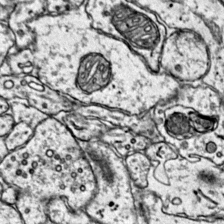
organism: Mouse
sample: Primary visual cortex